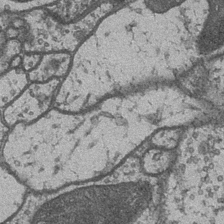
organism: Drosophila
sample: Optic medulla